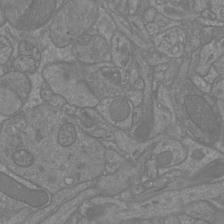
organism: Mouse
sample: Cortical neurons